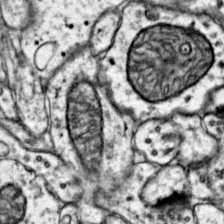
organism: Mouse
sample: Primary visual cortex